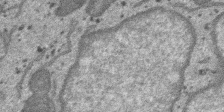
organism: Human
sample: Lung epithelial cells infected with SARS-CoV-2